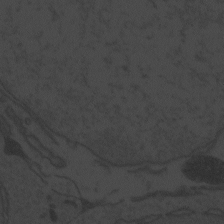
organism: Zebrafish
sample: Macrophage infected with Toxoplasma gondii